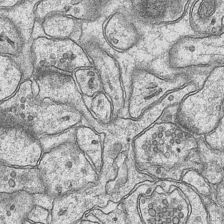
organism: Mouse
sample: CA1 Hippocampus